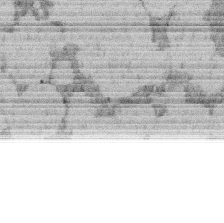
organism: Rat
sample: Salivary granule